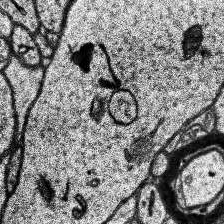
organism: Human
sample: Temporal Lobe